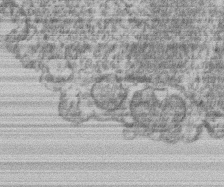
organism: Mouse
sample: T cell stromal cell synapse